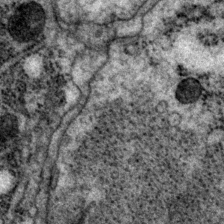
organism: P. pacificus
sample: Pharynx